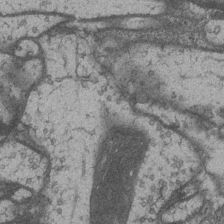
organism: Drosophila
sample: Optic medulla